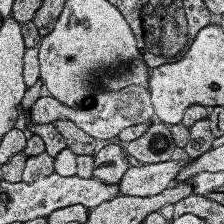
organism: Human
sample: Temporal Lobe